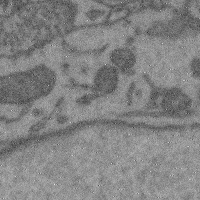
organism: Mouse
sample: Cerebral cortex